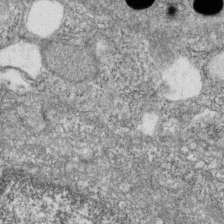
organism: Zebrafish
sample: Cilia; retinal pigment epithelium